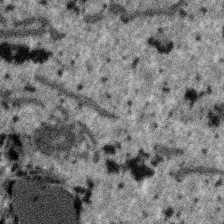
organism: Human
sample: Lung epithelial cells infected with SARS-CoV-2